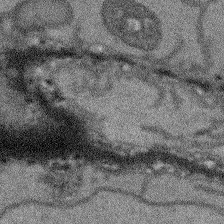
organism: Arabidopsis thaliana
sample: Root tip